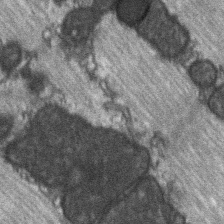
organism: C57BL Mouse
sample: Soleus